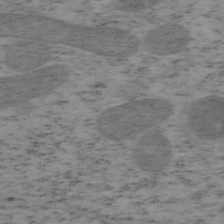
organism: Mouse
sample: OT-I killer T cells with ID8 ovarian cancer cells